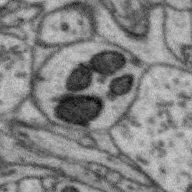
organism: Zebra finch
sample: Brain